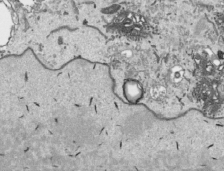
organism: Human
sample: Mitochondria in HCT116 cells